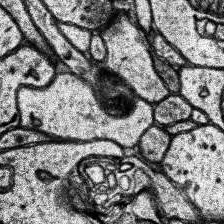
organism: Human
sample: Temporal Lobe